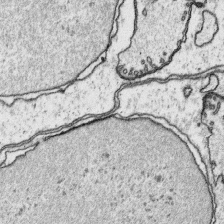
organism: Platynereis dumerilii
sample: Parapodia